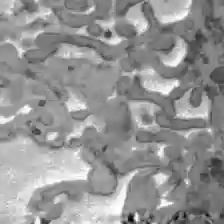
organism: C57BL Mouse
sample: Liver